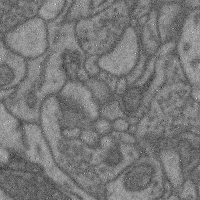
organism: Mouse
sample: Cerebral cortex